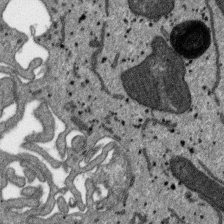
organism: Human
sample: Lung epithelial cells, uninfected (mock) control